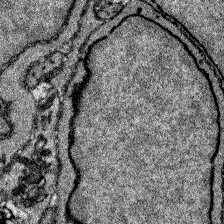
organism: Zebrafish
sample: Larval olfactory bulb